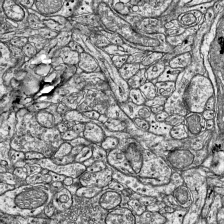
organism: Mouse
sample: Visual Cortex